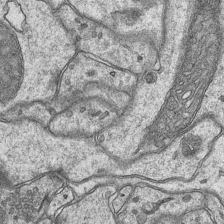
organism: Mouse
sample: CA1 Hippocampus